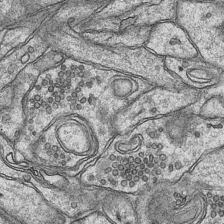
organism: Mouse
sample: CA1 Hippocampus